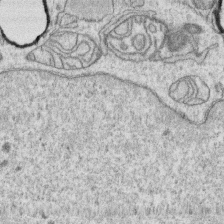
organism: Human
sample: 1205lu cells